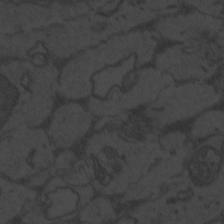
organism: Zebrafish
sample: Macrophage infected with Toxoplasma gondii